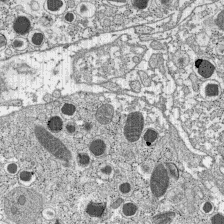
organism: C57BL Mouse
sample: Pancreatic islet